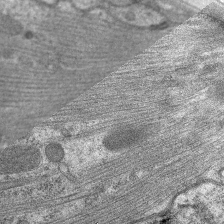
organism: C. elegans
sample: Pharynx